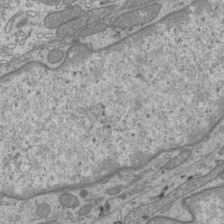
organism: Mouse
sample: Cilia; mouse epididymis